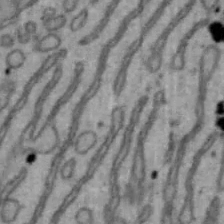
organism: Mouse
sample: Liver